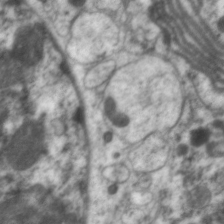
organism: C. elegans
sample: Pharynx